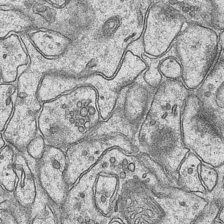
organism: Mouse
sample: CA1 Hippocampus